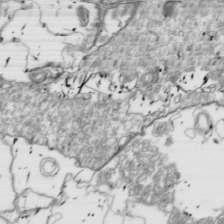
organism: Drosophila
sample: Cell division; meiosis; drosophila spermatocytes